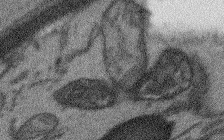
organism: Arabidopsis thaliana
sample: Root tip